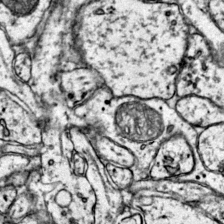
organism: Mouse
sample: Primary visual cortex